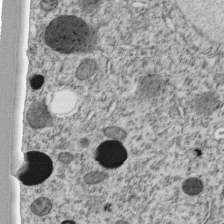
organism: C. elegans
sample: C. elegans embryo early stage